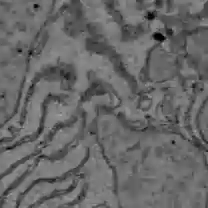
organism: C57BL Mouse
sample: Liver